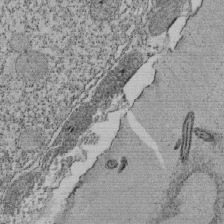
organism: Tetrahymena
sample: Cilia in tetrahymena